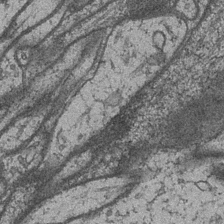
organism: Drosophila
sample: Optic medulla